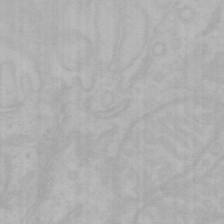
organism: Mouse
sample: Choroid plexus